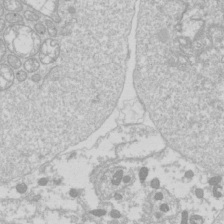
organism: Drosophila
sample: Cell division; meiosis; drosophila spermatocytes